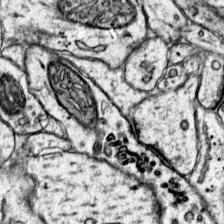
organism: Mouse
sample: Primary visual cortex